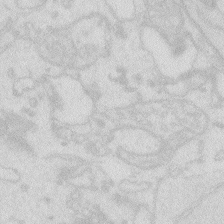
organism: Zebrafish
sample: Macrophage